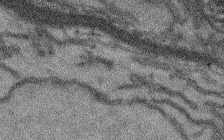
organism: Arabidopsis thaliana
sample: Root tip